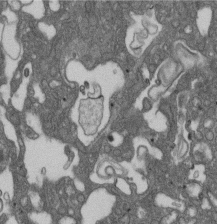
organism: Drosophila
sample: Nephrocyte